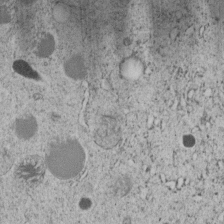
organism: C. elegans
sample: C. elegans embryo early stage